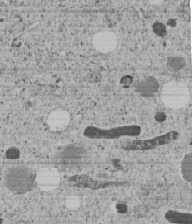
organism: C. elegans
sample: C. elegans embryo early stage